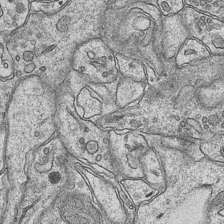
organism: Mouse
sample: CA1 Hippocampus